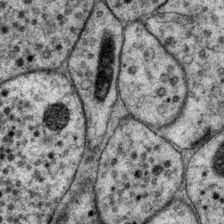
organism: P. pacificus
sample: Pharynx